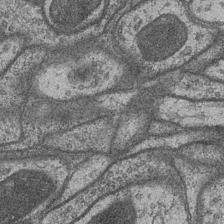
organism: Drosophila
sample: Optic medulla